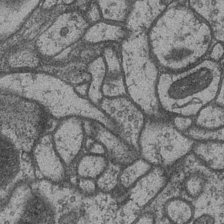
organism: Drosophila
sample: Optic medulla